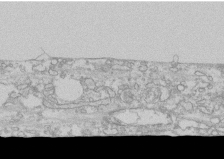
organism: Human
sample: CRL-1474